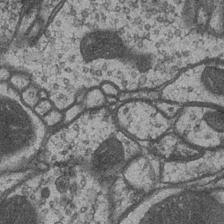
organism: Drosophila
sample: Optic medulla